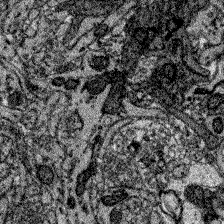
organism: Zebrafish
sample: Larval olfactory bulb